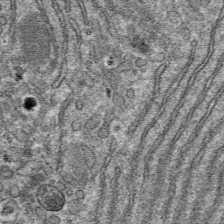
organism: Mouse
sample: Mouse hepatocytes